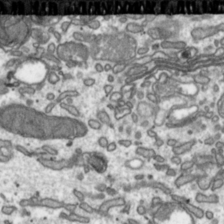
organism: Toxoplasma gondii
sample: Parasites in a vacuole inside a host cell